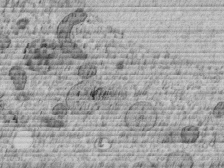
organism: C. elegans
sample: C. elegans embryo early stage